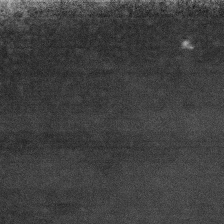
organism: Mouse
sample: Centriole in ependymal cells